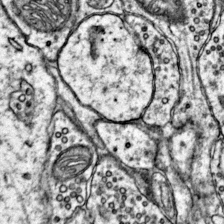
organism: Mouse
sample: Primary visual cortex